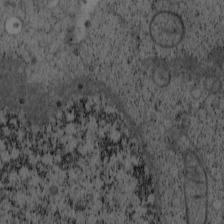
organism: African green monkey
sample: COS-7 cells